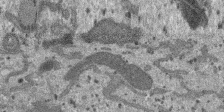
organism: Human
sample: Lung epithelial cells infected with SARS-CoV-2